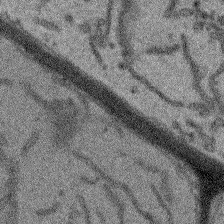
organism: Arabidopsis thaliana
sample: Root tip